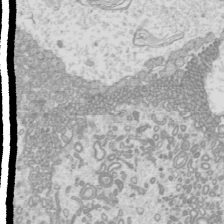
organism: Mouse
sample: Cilia; mouse epididymis